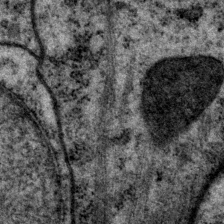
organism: P. pacificus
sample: Pharynx